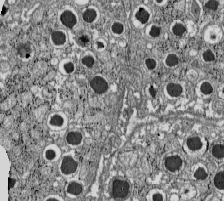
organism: C57BL Mouse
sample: Pancreatic islet